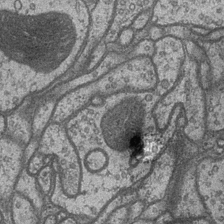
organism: Drosophila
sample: Optic medulla